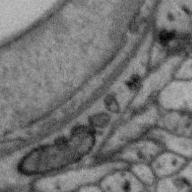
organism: Zebra finch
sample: Brain